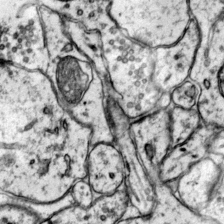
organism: Mouse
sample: Primary visual cortex